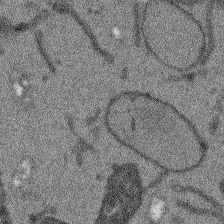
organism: Arabidopsis thaliana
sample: Root tip